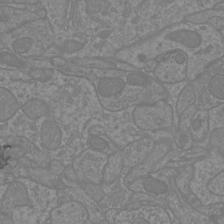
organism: Mouse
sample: Cortical neurons